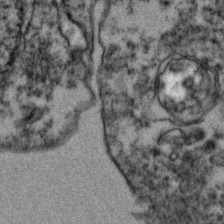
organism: Zebrafish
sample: Zebrafish embryo